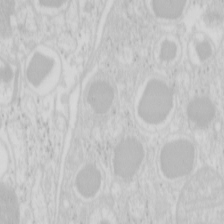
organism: Mouse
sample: Pancreas